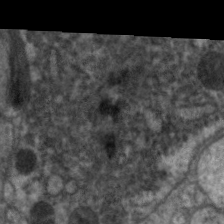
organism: C. elegans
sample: Pharynx